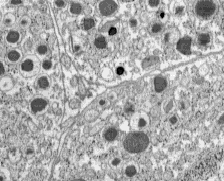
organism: C57BL Mouse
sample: Pancreatic islet